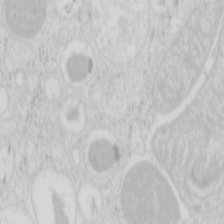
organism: Mouse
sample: Pancreas